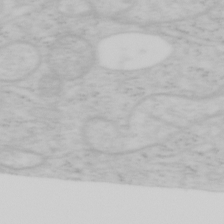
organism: Mouse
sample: OT-I killer T cells with ID8 ovarian cancer cells